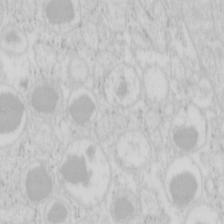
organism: Mouse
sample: Pancreas